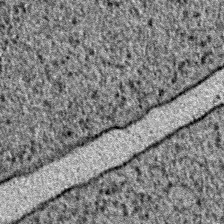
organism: E. coli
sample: E. Coli Bacteria